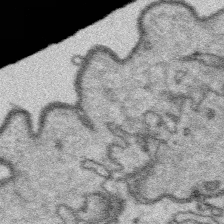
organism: Platynereis dumerilii